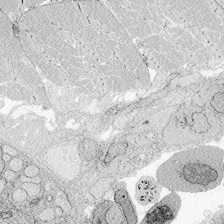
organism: Zebrafish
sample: Whole-Brain